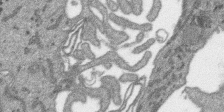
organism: Human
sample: Lung epithelial cells infected with SARS-CoV-2